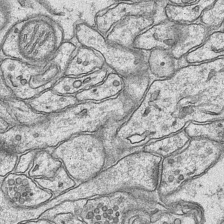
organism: Mouse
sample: CA1 Hippocampus